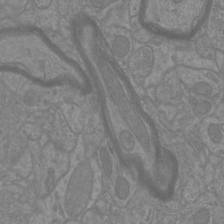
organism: Mouse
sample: Cortical neurons